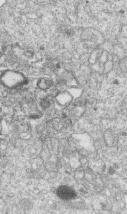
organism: Human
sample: HeLa cell HIV synapse